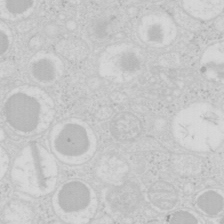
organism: Mouse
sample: Pancreas